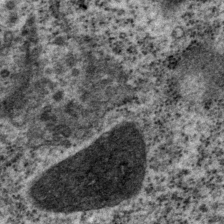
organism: P. pacificus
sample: Pharynx